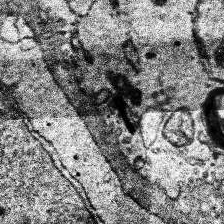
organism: Human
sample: Temporal Lobe